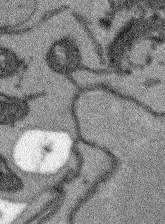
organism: Arabidopsis thaliana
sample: Root tip